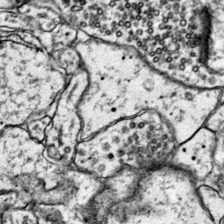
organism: Mouse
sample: Primary visual cortex